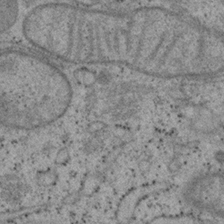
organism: Human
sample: HeLa cells